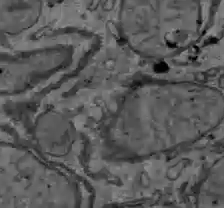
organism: C57BL Mouse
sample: Liver